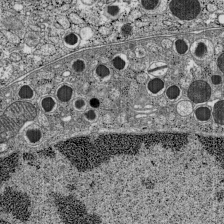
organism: C57BL Mouse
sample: Pancreatic islet